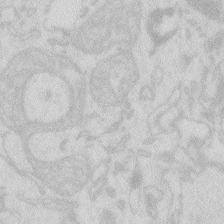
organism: Zebrafish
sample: Macrophage